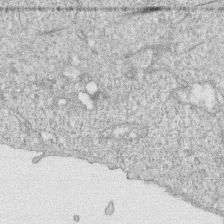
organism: Human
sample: HeLa cell HIV synapse